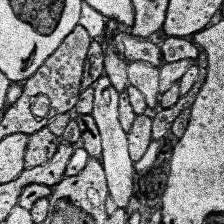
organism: Human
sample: Temporal Lobe